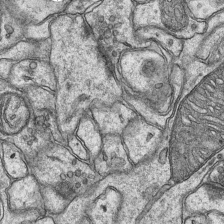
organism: Mouse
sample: CA1 Hippocampus